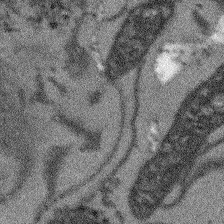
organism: Arabidopsis thaliana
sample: Root tip